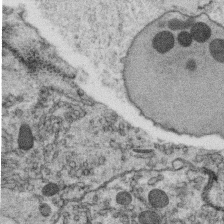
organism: C. elegans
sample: C. elegans oocyte; sperm cells